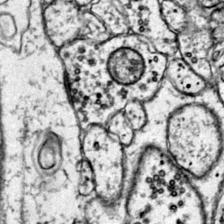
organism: Mouse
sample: Primary visual cortex